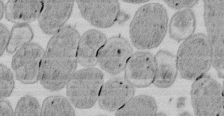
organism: E. coli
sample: Bacterial nucleoid